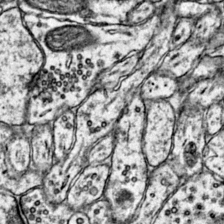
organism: Mouse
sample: Primary visual cortex